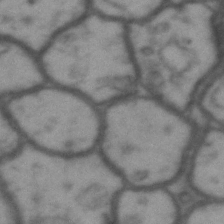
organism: Drosophila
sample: Brain